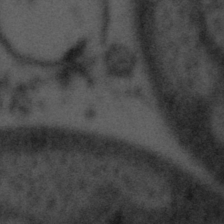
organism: Tuwongella immobilis